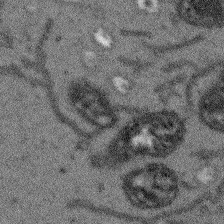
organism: Arabidopsis thaliana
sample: Root tip